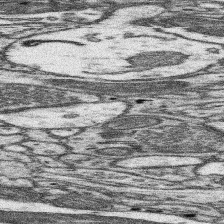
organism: Mouse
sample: Somatosensory cortex neuropil